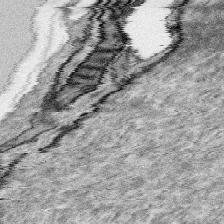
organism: Human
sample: HeLa cells